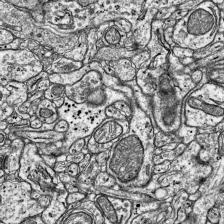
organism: Mouse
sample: Visual Cortex